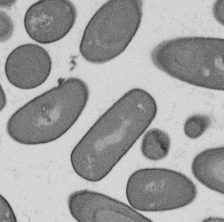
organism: B. subtilis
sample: Bacterial spore